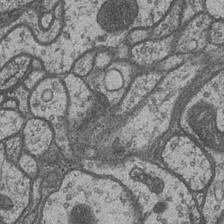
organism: Drosophila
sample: Optic medulla